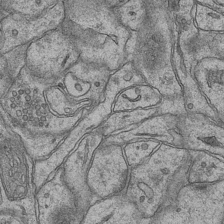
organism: Mouse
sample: CA1 Hippocampus